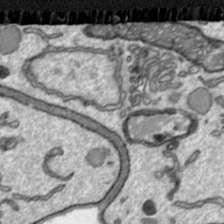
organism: Toxoplasma gondii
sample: Parasites in a vacuole inside a host cell